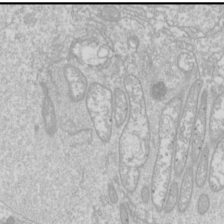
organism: Drosophila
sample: Cell division; meiosis; drosophila spermatocytes